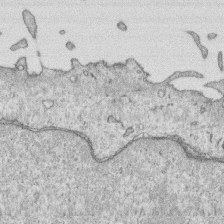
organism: Human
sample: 1205lu cells